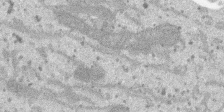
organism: Human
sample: Lung epithelial cells infected with SARS-CoV-2